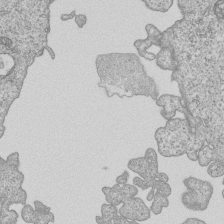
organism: Human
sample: MDA-MB-231 cells